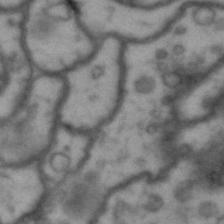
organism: Drosophila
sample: Brain